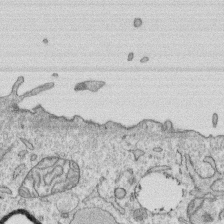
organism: Human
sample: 1205lu cells